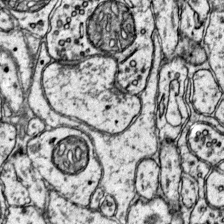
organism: Mouse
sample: Primary visual cortex